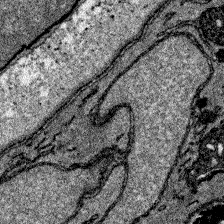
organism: Zebrafish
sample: Larval olfactory bulb